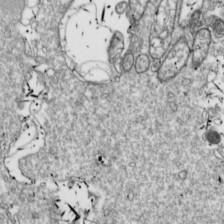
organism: Drosophila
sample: Cell division; meiosis; drosophila spermatocytes